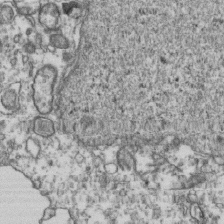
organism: Human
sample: Activated Jurkat CD4+ T cells